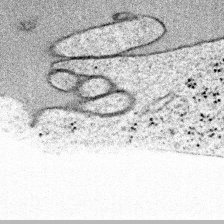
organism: Human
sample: HeLa cells